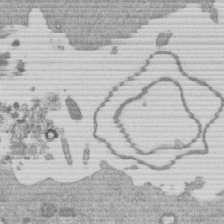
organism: Mouse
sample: Dividing mouse embryo 1 cell stage